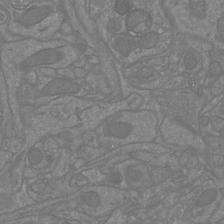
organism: Mouse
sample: Cortical neurons